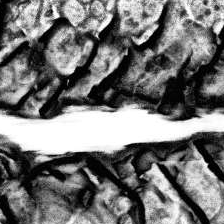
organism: Human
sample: Temporal Lobe